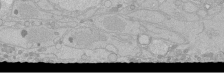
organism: Human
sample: Caco-2 cells